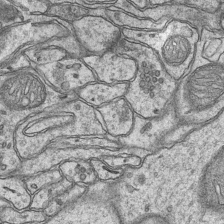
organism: Mouse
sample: CA1 Hippocampus